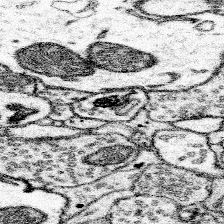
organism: Mouse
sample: Somatosensory cortex neuropil